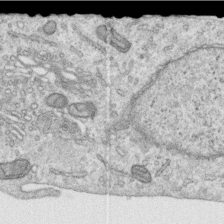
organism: Human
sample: Centriole in RPE cells